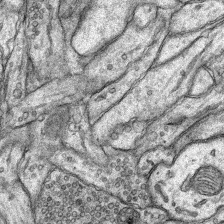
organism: Rat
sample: Hippocampus